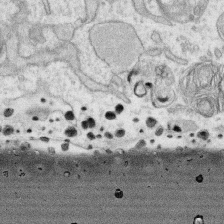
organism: Human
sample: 1205lu cells